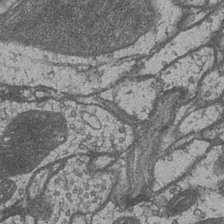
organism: Drosophila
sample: Optic medulla